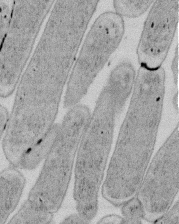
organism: E. coli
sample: Bacterial nucleoid